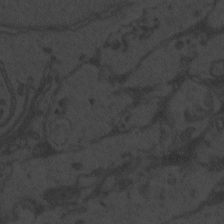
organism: Zebrafish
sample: Macrophage infected with Toxoplasma gondii